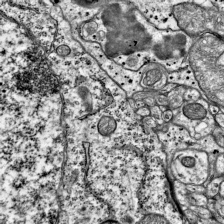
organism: Mouse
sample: Visual Cortex